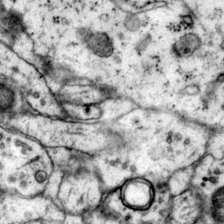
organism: Mouse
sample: Primary visual cortex